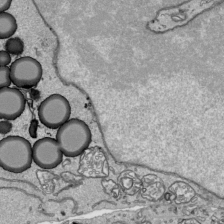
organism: Human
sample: Mitochondria in HCT116 cells